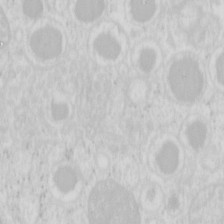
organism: Mouse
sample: Pancreas